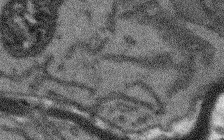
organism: Arabidopsis thaliana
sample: Root tip